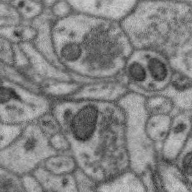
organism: Zebra finch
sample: Brain